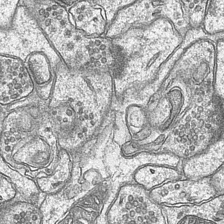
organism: Mouse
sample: CA1 Hippocampus